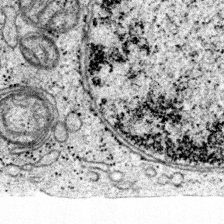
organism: Human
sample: HeLa cells